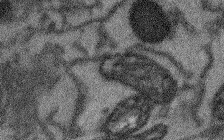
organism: Arabidopsis thaliana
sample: Root tip